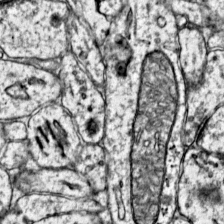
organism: Mouse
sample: Primary visual cortex